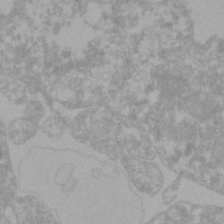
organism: Zebrafish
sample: Zebrafish embryo